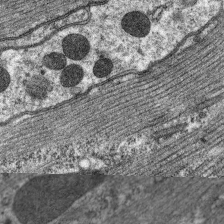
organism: C. elegans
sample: Pharynx